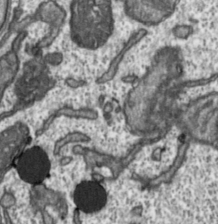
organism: Toxoplasma gondii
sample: Parasites in a vacuole inside a host cell